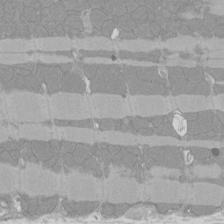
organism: Rat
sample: Left ventricle